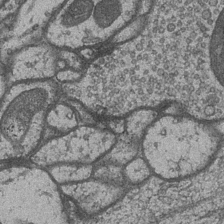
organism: Drosophila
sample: Optic medulla